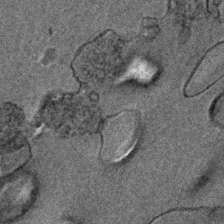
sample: Trachea